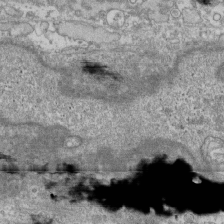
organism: Human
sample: Fibroblast cells